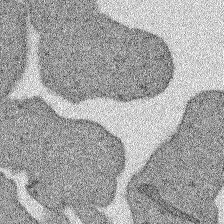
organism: Human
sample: HeLa cells